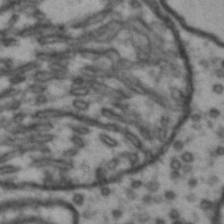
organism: Drosophila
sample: Brain